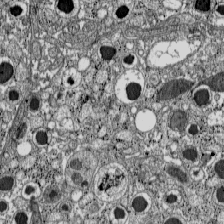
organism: C57BL Mouse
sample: Pancreatic islet